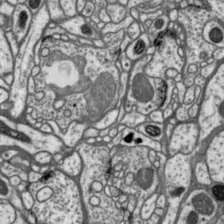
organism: Drosophila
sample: Protocerebral bridge